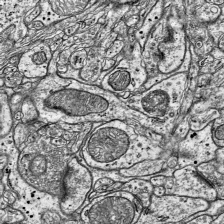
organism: Mouse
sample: Visual Cortex